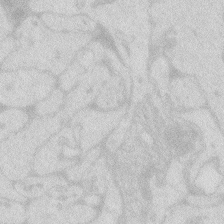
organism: Zebrafish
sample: Macrophage